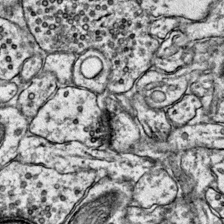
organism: Mouse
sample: Primary visual cortex